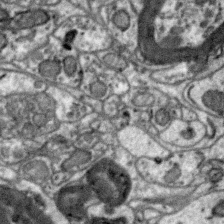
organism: Zebra finch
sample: Brain